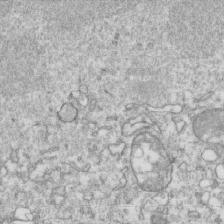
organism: Mouse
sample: Activated OT-1 CD8+ T cells